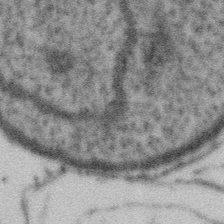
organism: Gemmata obscuriglobus